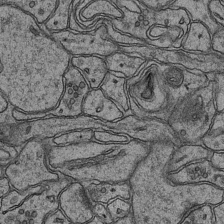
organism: Mouse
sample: CA1 Hippocampus